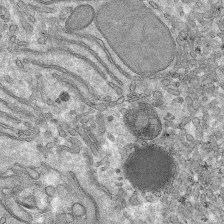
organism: Mouse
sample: Mouse hepatocytes